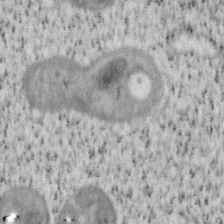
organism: Mouse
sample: OT-I killer T cells with ID8 ovarian cancer cells